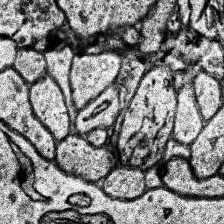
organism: Human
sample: Temporal Lobe